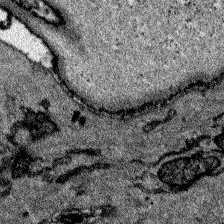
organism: Zebrafish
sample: Larval olfactory bulb